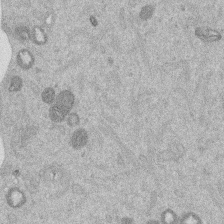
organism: Mouse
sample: Dividing mouse embryo 1 cell stage